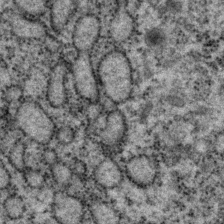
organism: P. pacificus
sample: Pharynx